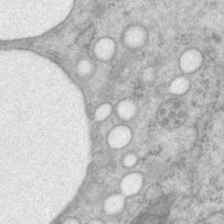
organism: P. pacificus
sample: Pharynx